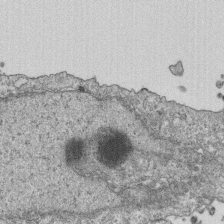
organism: Human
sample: HeLa cell HIV synapse